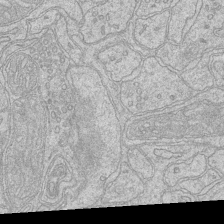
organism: Mouse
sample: CA1 Hippocampus